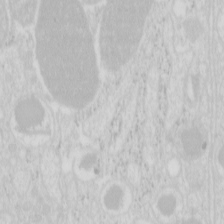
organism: Mouse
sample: Pancreas